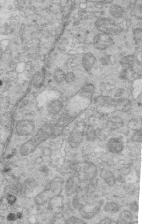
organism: Mouse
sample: Multiciliated cells